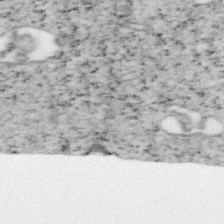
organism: Mouse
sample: OT-I killer T cells with ID8 ovarian cancer cells